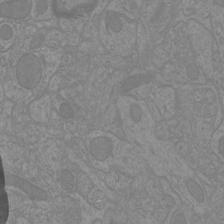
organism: Mouse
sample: Cortical neurons